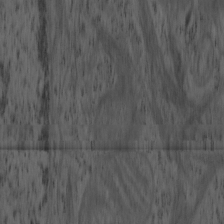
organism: Human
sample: HeLa cells